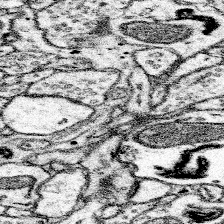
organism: Mouse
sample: Somatosensory cortex neuropil